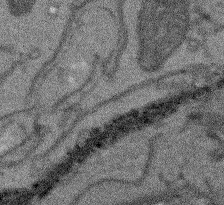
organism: Arabidopsis thaliana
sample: Root tip